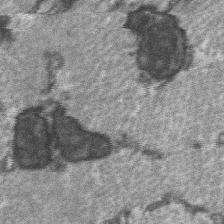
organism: C57BL Mouse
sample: Soleus